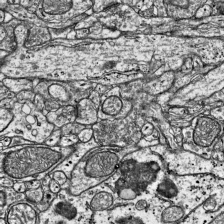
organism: Mouse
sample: Visual Cortex